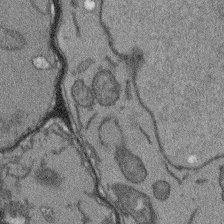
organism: Arabidopsis thaliana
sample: Root tip